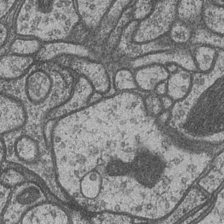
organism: Drosophila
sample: Optic medulla